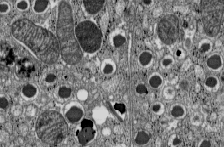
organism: C57BL Mouse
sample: Pancreatic islet